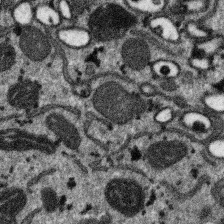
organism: Human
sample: Lung epithelial cells infected with SARS-CoV-2